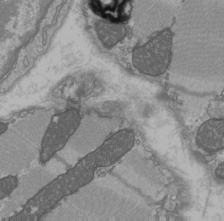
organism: C57BL Mouse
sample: Heart